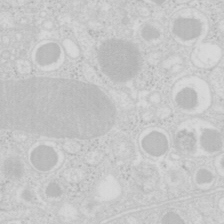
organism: Mouse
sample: Pancreas